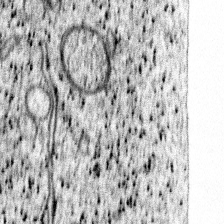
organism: Human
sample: HeLa cells